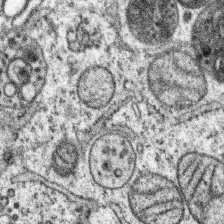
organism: Human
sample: HeLa cells